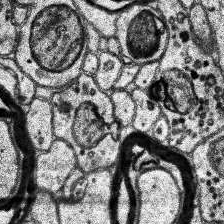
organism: Human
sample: Temporal Lobe